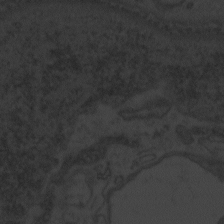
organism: Zebrafish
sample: Macrophage infected with Toxoplasma gondii